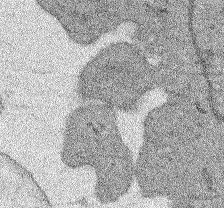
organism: Human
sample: HeLa cells